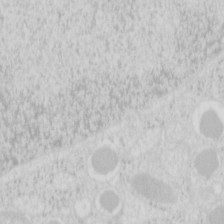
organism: Mouse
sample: Pancreas